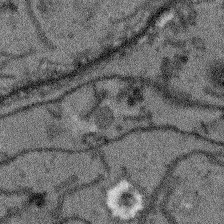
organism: Arabidopsis thaliana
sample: Root tip